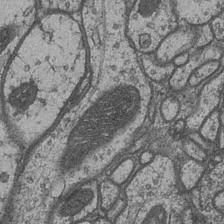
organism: Drosophila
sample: Optic medulla